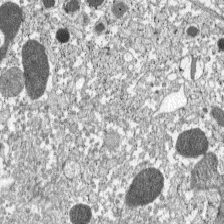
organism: C57BL Mouse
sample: Pancreatic islet